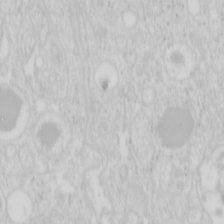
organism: Mouse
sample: Pancreas